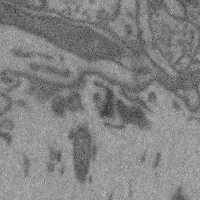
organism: Mouse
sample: Cerebral cortex